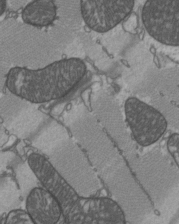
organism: C57BL Mouse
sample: Heart